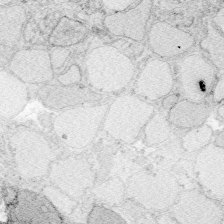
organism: Zebrafish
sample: Whole-Brain